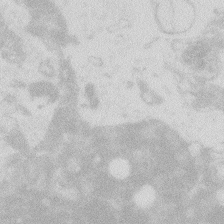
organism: Zebrafish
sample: Macrophage